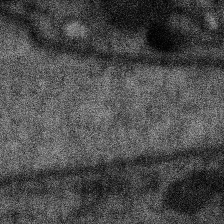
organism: Human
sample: Lung epithelial cells infected with SARS-CoV-2